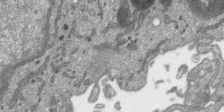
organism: Human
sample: Lung epithelial cells infected with SARS-CoV-2